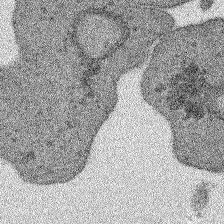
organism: Human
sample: HeLa cells